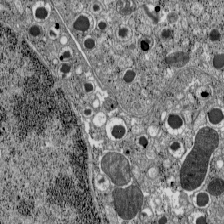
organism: C57BL Mouse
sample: Pancreatic islet